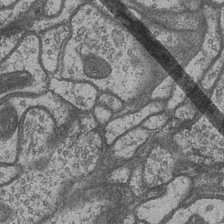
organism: Drosophila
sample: Optic medulla